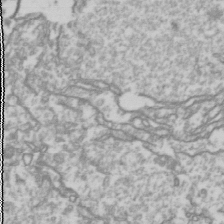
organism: Drosophila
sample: Cell division; meiosis; drosophila spermatocytes